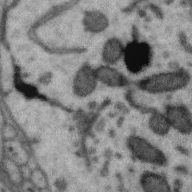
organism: Zebra finch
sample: Brain